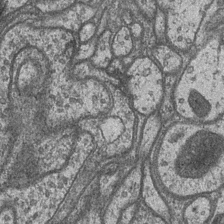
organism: Drosophila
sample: Optic medulla